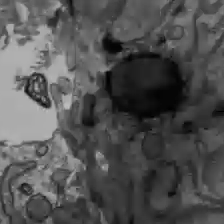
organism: C57BL Mouse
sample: Liver